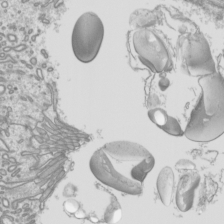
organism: Mouse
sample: Cilia; mouse epididymis